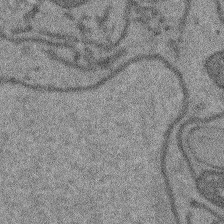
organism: Arabidopsis thaliana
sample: Root tip